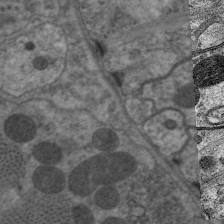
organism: C. elegans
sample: Pharynx